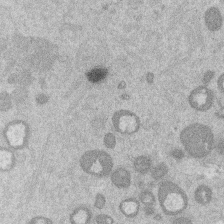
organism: Mouse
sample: Dividing mouse embryo 1 cell stage